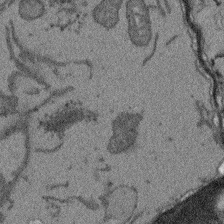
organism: Arabidopsis thaliana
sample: Root tip